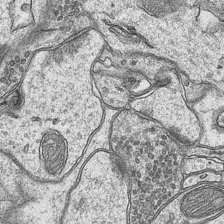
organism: Mouse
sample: CA1 Hippocampus